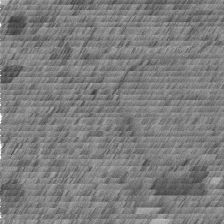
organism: C. elegans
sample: C. elegans embryo early stage